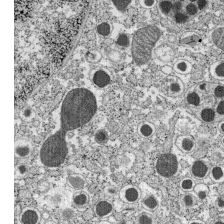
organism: C57BL Mouse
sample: Pancreatic islet